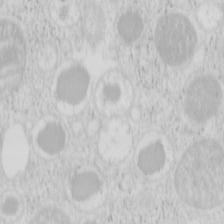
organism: Mouse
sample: Pancreas